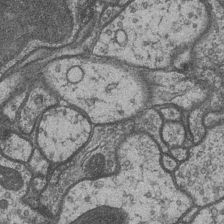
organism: Drosophila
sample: Optic medulla